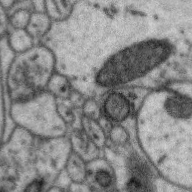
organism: Zebra finch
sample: Brain